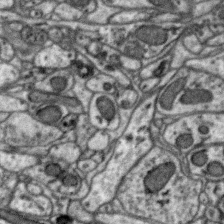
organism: Zebra finch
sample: Brain